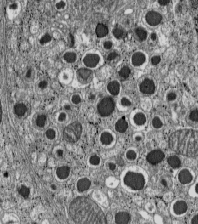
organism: C57BL Mouse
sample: Pancreatic islet